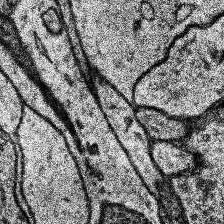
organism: Human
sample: Temporal Lobe